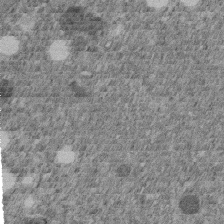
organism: C. elegans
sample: C. elegans embryo early stage